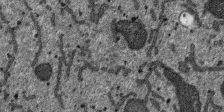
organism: Human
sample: Lung epithelial cells infected with SARS-CoV-2